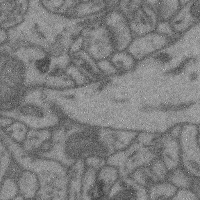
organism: Mouse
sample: Cerebral cortex